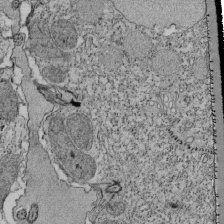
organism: Tetrahymena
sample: Cilia in tetrahymena